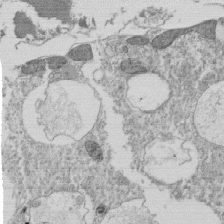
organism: Tetrahymena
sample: Cilia in tetrahymena